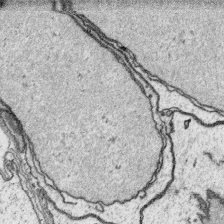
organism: Platynereis dumerilii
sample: Parapodia